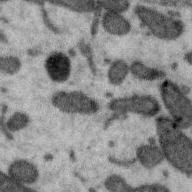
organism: Zebra finch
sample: Brain